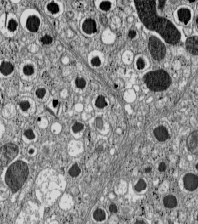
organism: C57BL Mouse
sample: Pancreatic islet